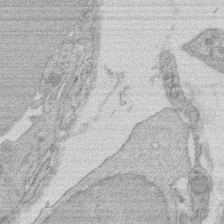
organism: Rat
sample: Salivary granule